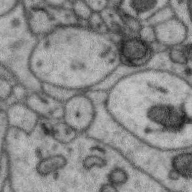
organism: Zebra finch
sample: Brain